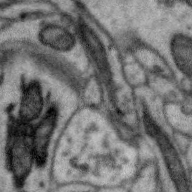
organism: Zebra finch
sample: Brain